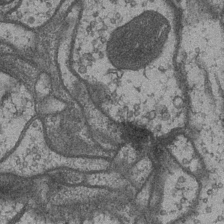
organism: Drosophila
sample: Optic medulla